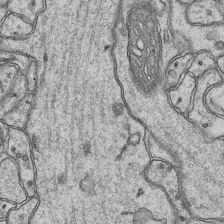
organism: Mouse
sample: CA1 Hippocampus